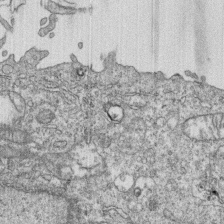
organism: Human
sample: HeLa cell HIV synapse